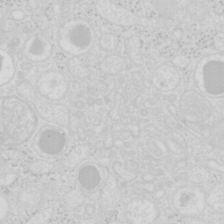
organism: Mouse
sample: Pancreas